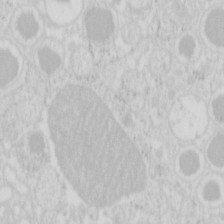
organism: Mouse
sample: Pancreas